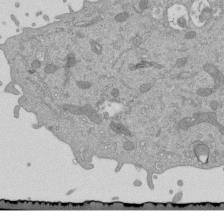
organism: Mouse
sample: ED-1 cell nuclei; centrioles